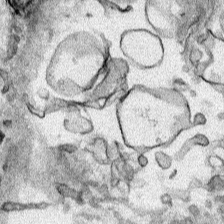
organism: Human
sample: Mitochondria in HCT116 cells